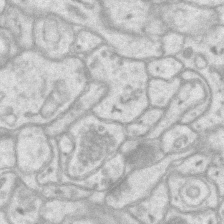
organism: Mouse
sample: CA1 Hippocampus